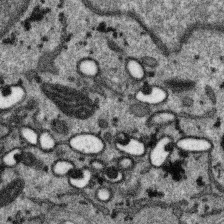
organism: Human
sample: Lung epithelial cells infected with SARS-CoV-2